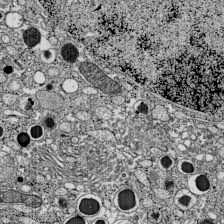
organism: C57BL Mouse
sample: Pancreatic islet